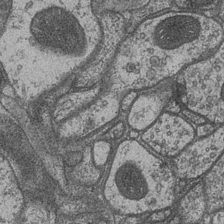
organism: Drosophila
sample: Optic medulla